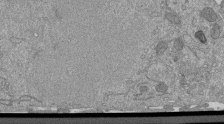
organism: Mouse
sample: ED-1 cell nuclei; centrioles